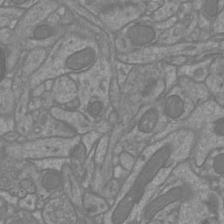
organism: Mouse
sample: Cortical neurons